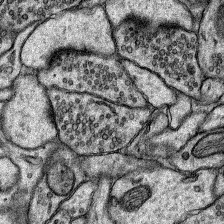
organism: Rat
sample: Hippocampus